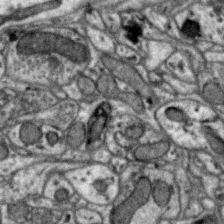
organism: Zebra finch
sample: Brain